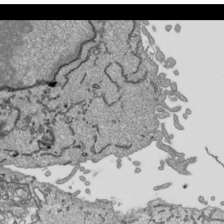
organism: Human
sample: Mitochondria in HCT116 cells